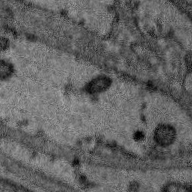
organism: Zebra finch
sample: Brain